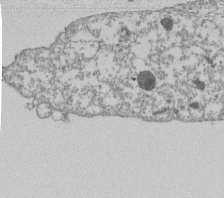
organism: Dictyostelium discoideum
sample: Dictyostelium multivesicular bodies